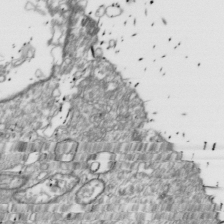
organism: Drosophila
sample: Cell division; meiosis; drosophila spermatocytes